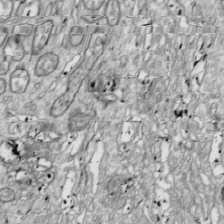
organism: Drosophila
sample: Cell division; meiosis; drosophila spermatocytes